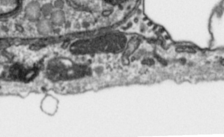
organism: Toxoplasma gondii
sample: Parasites in a vacuole inside a host cell